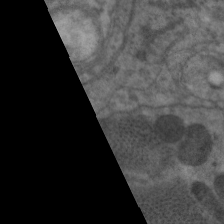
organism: C. elegans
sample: Pharynx